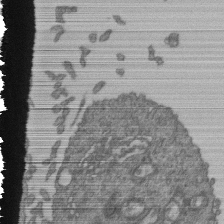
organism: Human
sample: Retinal organoid Rod and Cone cells